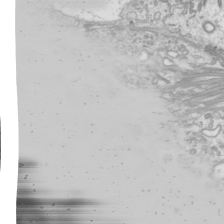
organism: Mouse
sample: Cilia; mouse epididymis